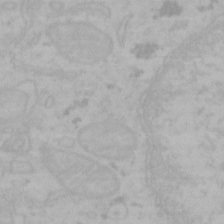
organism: Mouse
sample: Choroid plexus